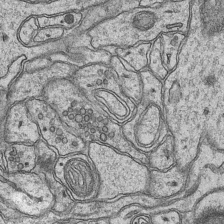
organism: Mouse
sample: CA1 Hippocampus